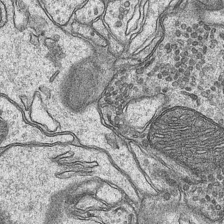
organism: Mouse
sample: CA1 Hippocampus